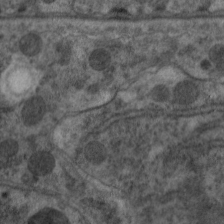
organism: C. elegans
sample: Pharynx